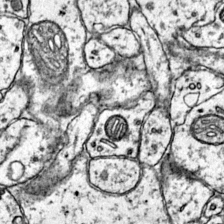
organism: Mouse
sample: Primary visual cortex